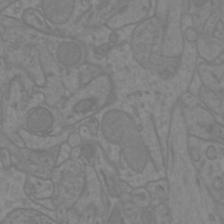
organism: Mouse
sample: Cortical neurons